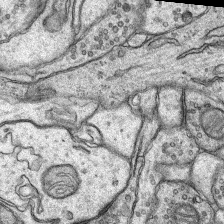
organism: Rat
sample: Hippocampus